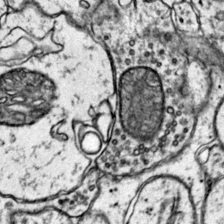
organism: Mouse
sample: Primary visual cortex